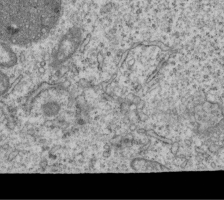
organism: Human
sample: MDA-MB-231 cells